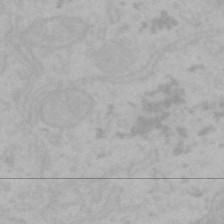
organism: Mouse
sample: Choroid plexus